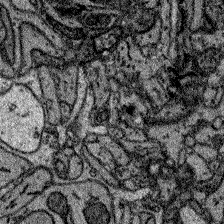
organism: Zebrafish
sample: Larval olfactory bulb